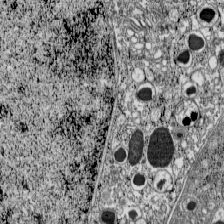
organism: C57BL Mouse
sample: Pancreatic islet